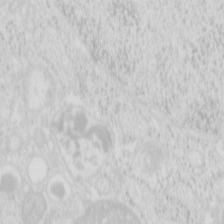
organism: Mouse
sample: Pancreas